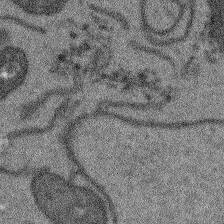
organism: Arabidopsis thaliana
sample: Root tip